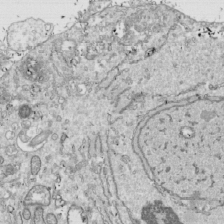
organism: Drosophila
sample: Cell division; meiosis; drosophila spermatocytes